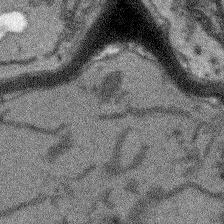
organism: Arabidopsis thaliana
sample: Root tip